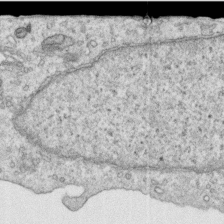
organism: Human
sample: Centriole in RPE cells